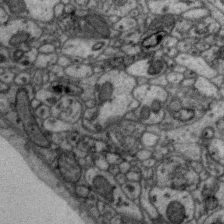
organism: Zebra finch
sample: Brain